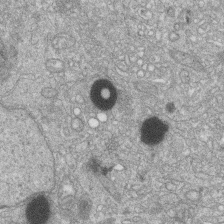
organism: Human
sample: HeLa cell HIV synapse